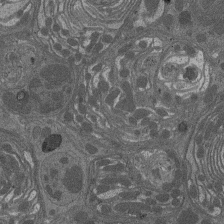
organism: Drosophila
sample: Antenna